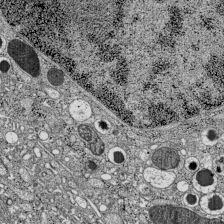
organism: C57BL Mouse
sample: Pancreatic islet